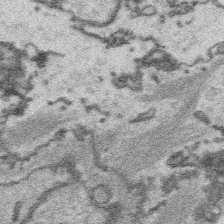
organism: Platynereis dumerilii